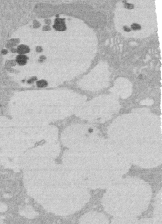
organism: Rat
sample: Salivary granule